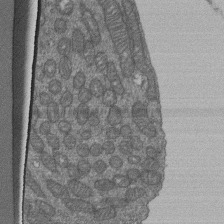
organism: Human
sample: Retinal organoid Rod and Cone cells